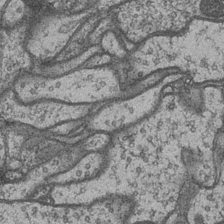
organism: Drosophila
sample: Optic medulla